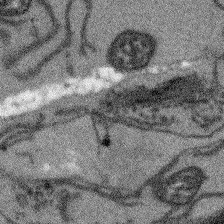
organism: Arabidopsis thaliana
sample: Root tip